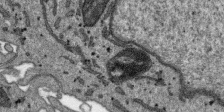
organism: Human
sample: Lung epithelial cells, uninfected (mock) control